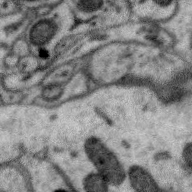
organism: Zebra finch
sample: Brain